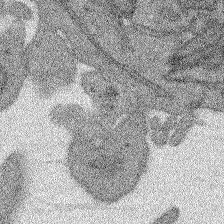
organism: Human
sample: HeLa cells